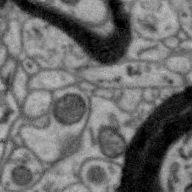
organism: Zebra finch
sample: Brain